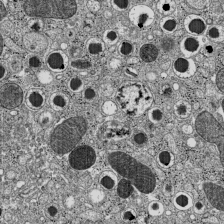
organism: C57BL Mouse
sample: Pancreatic islet